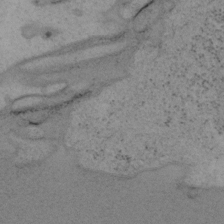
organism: Mouse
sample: OT-I killer T cells with ID8 ovarian cancer cells